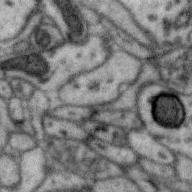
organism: Zebra finch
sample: Brain